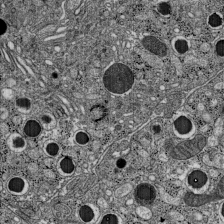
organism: C57BL Mouse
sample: Pancreatic islet